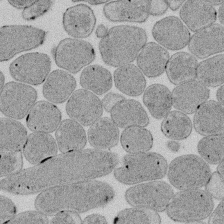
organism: E. coli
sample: Bacterial nucleoid